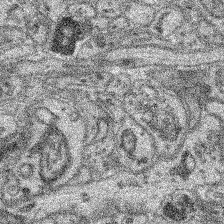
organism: Mouse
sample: Retina